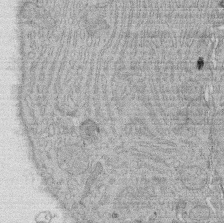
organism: Rat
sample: Salivary granule